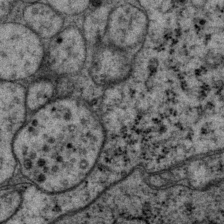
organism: P. pacificus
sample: Pharynx